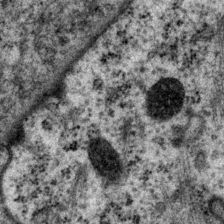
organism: P. pacificus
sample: Pharynx